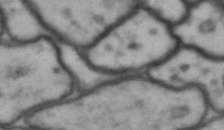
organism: Drosophila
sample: Brain